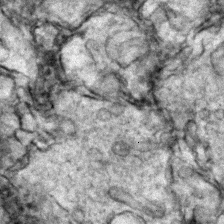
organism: Zebrafish